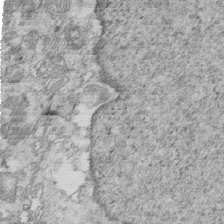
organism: Mouse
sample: Multiciliated cells